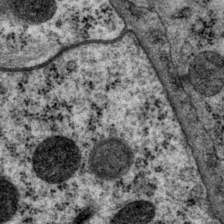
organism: P. pacificus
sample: Pharynx